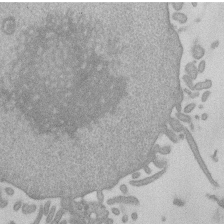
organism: Mouse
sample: Dividing mouse embryo 1 cell stage